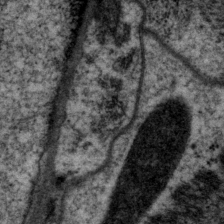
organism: P. pacificus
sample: Pharynx